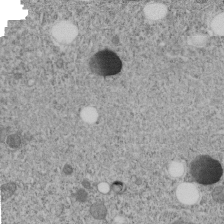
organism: C. elegans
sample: C. elegans embryo early stage